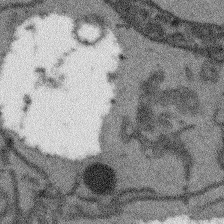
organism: Arabidopsis thaliana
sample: Root tip